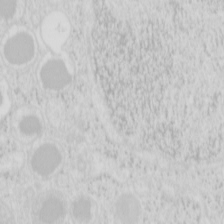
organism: Mouse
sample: Pancreas